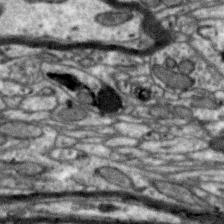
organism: Zebra finch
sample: Brain